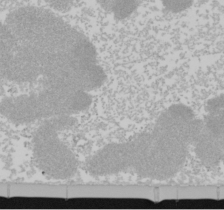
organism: Mouse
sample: Cancer cell death in ED-1 cells